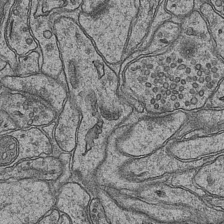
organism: Mouse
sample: CA1 Hippocampus